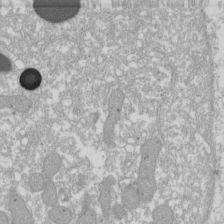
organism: Xenopus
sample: Cilia; centrioles in frog embryo cells